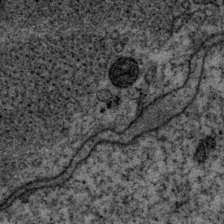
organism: P. pacificus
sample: Pharynx